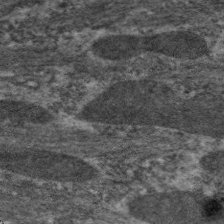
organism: C. elegans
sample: Pharynx